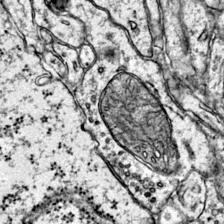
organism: Mouse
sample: Primary visual cortex